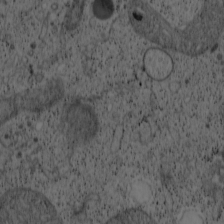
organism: African green monkey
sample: COS-7 cells